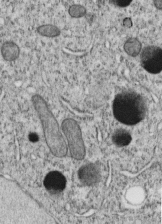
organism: C. elegans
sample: C. elegans embryo early stage